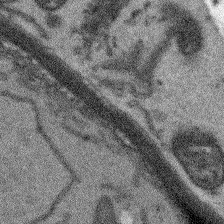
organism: Arabidopsis thaliana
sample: Root tip